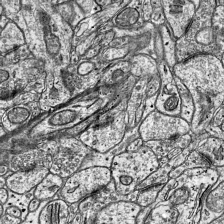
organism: Mouse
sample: Visual Cortex